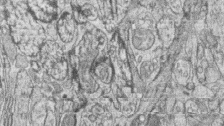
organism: Zebrafish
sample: synaptic ribbons in rod cells and cone cells